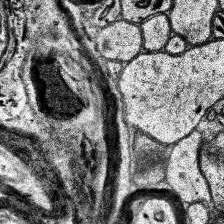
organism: Human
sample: Temporal Lobe